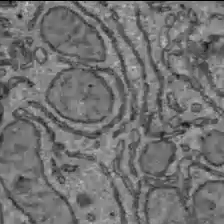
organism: C57BL Mouse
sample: Liver